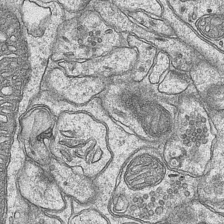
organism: Mouse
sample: CA1 Hippocampus